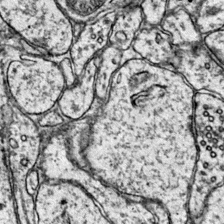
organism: Mouse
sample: Primary visual cortex